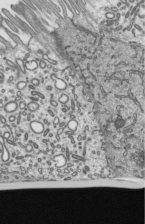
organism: Mouse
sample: Mouse epididymis efferent ductule cilia